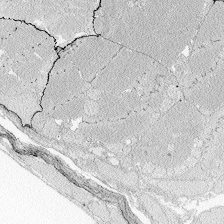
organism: Zebrafish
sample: Whole-Brain